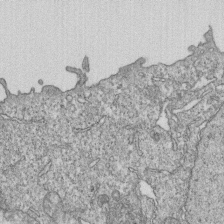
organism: Human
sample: HeLa cell HIV synapse